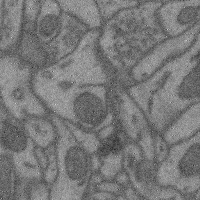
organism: Mouse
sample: Cerebral cortex